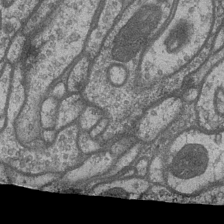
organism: Drosophila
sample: Optic medulla